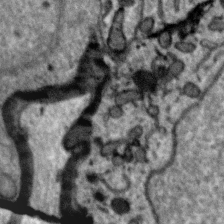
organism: Zebra finch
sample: Brain